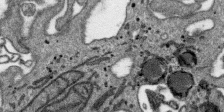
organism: Human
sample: Lung epithelial cells, uninfected (mock) control